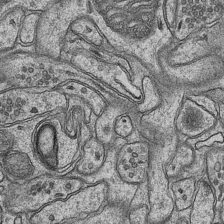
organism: Mouse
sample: CA1 Hippocampus